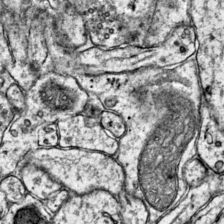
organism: Mouse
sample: Primary visual cortex